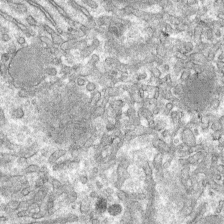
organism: Mouse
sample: Mouse hepatocytes